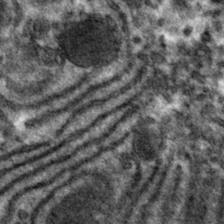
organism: Mouse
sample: Mouse hepatocytes